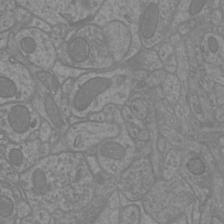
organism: Mouse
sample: Cortical neurons